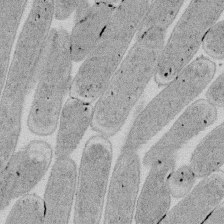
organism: E. coli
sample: Bacterial nucleoid